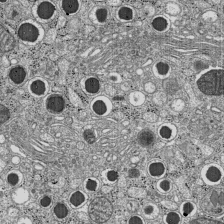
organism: C57BL Mouse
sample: Pancreatic islet